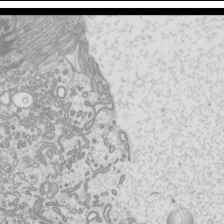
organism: Mouse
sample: Cilia; mouse epididymis